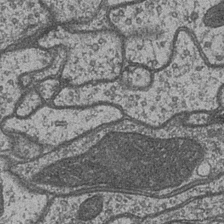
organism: Drosophila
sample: Optic medulla